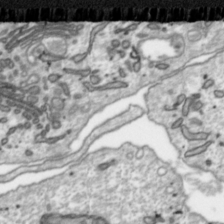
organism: Toxoplasma gondii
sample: Parasites in a vacuole inside a host cell